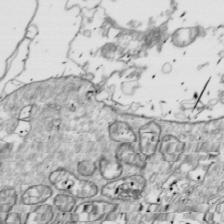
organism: Drosophila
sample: Cell division; meiosis; drosophila spermatocytes